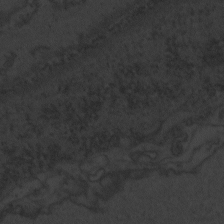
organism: Zebrafish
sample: Macrophage infected with Toxoplasma gondii